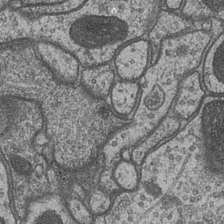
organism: Drosophila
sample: Optic medulla